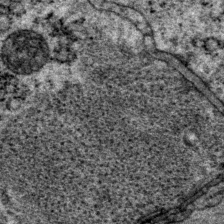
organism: P. pacificus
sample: Pharynx